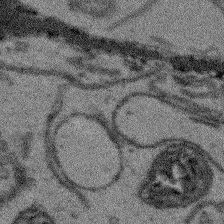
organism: Arabidopsis thaliana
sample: Root tip